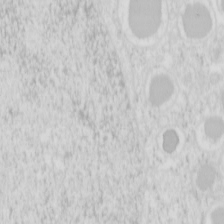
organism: Mouse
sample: Pancreas